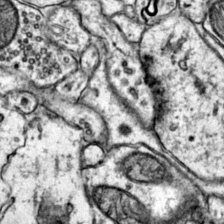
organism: Mouse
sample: Primary visual cortex